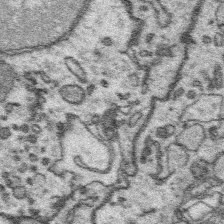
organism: Platynereis dumerilii